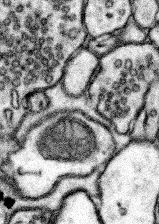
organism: Mouse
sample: Somatosensory cortex neuropil